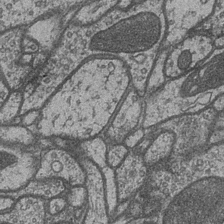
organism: Drosophila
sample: Optic medulla